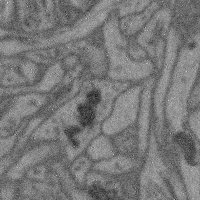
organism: Mouse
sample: Cerebral cortex